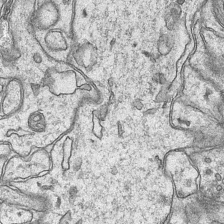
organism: Mouse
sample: CA1 Hippocampus